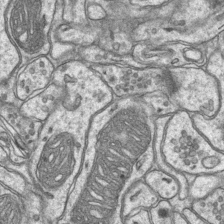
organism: Mouse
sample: CA1 Hippocampus